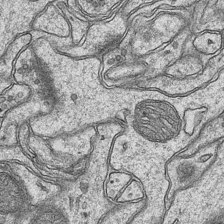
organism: Mouse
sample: CA1 Hippocampus